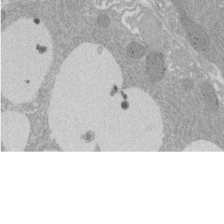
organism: Rat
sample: Salivary granule